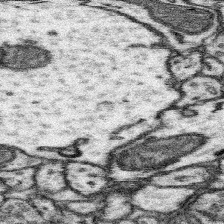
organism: Mouse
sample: Somatosensory cortex neuropil